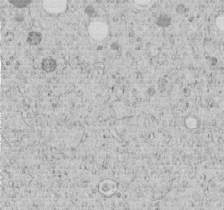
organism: C. elegans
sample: C. elegans embryo early stage